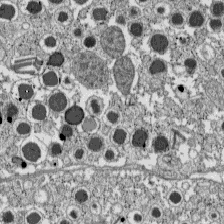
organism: C57BL Mouse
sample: Pancreatic islet